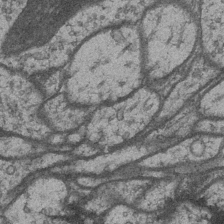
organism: Drosophila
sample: Optic medulla